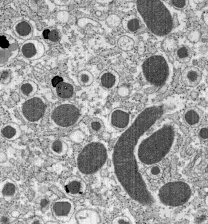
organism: C57BL Mouse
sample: Pancreatic islet